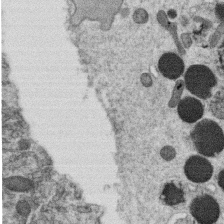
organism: C. elegans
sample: C. elegans oocyte; sperm cells